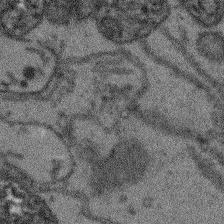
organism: Arabidopsis thaliana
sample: Root tip